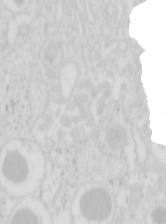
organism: Mouse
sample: Pancreas